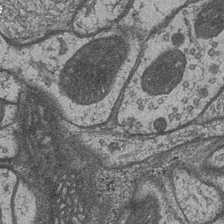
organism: Drosophila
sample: Optic medulla